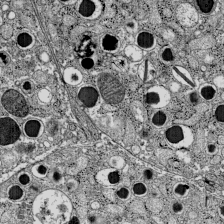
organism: C57BL Mouse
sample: Pancreatic islet